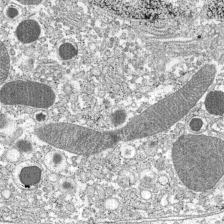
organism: C57BL Mouse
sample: Pancreatic islet